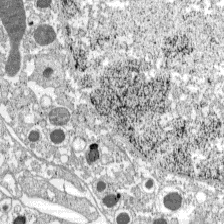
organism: C57BL Mouse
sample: Pancreatic islet